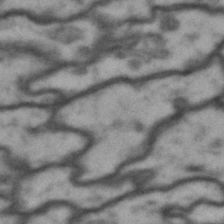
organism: Drosophila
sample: Brain